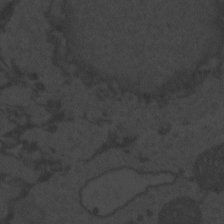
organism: Zebrafish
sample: Macrophage infected with Toxoplasma gondii